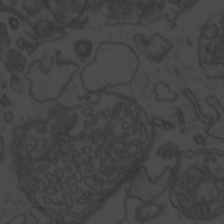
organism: Zebrafish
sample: Macrophage infected with Toxoplasma gondii